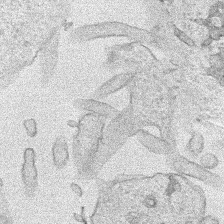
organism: Human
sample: Mitochondria in HCT116 cells